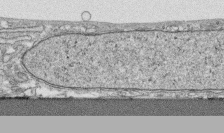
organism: Human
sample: CRL-1474